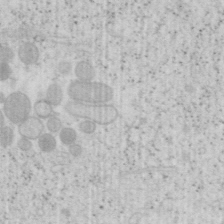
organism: Human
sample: HeLa cells